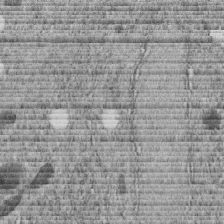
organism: C. elegans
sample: C. elegans embryo early stage